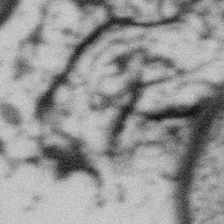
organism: Gemmata obscuriglobus